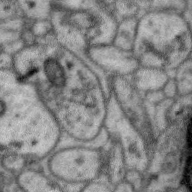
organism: Zebra finch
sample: Brain